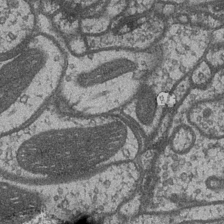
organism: Drosophila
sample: Optic medulla